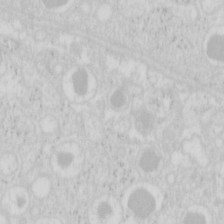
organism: Mouse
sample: Pancreas